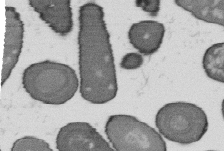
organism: B. subtilis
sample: Bacterial spore